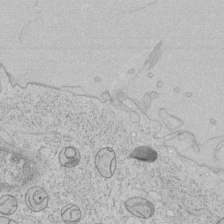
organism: Human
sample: Mitochondria in HCT116 cells